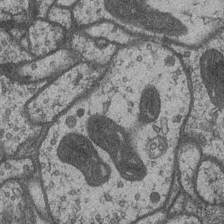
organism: Drosophila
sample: Optic medulla